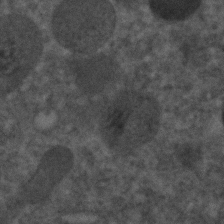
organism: C. elegans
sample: C. elegans embryo